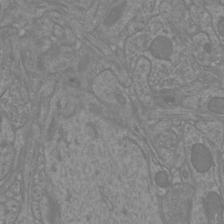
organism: Mouse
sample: Cortical neurons